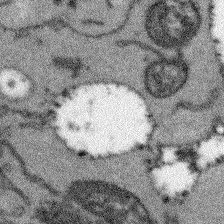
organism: Arabidopsis thaliana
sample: Root tip